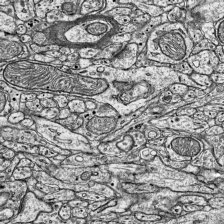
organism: Mouse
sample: Visual Cortex